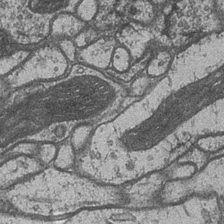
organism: Drosophila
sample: Optic medulla